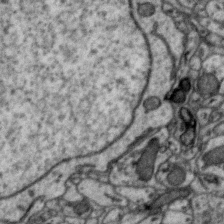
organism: Zebra finch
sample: Brain